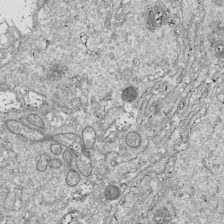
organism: Drosophila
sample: Cell division; meiosis; drosophila spermatocytes